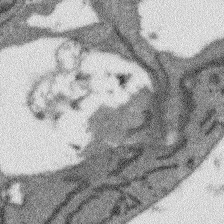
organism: Arabidopsis thaliana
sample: Root tip